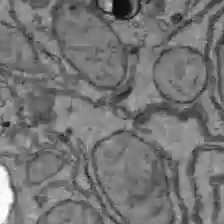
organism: C57BL Mouse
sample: Liver